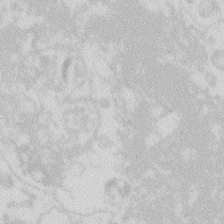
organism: Zebrafish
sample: Macrophage